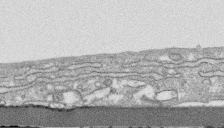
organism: Human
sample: CRL-1474